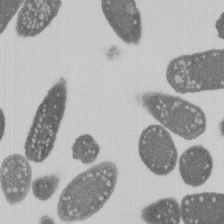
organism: E. coli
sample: Bacterial nucleoid